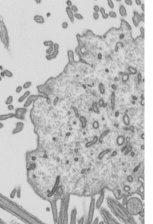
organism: Mouse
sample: Mouse epididymis efferent ductule cilia